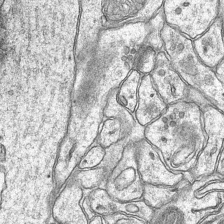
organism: Mouse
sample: CA1 Hippocampus